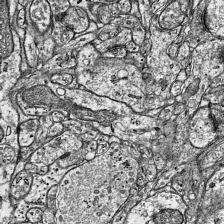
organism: Mouse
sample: Visual Cortex